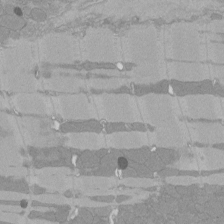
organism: Rat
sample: Left ventricle